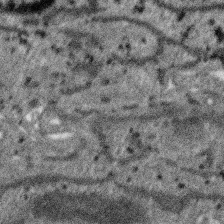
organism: Human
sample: Lung epithelial cells infected with SARS-CoV-2